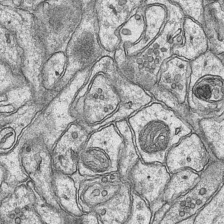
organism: Mouse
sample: CA1 Hippocampus